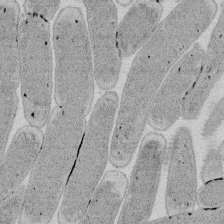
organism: E. coli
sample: Bacterial nucleoid